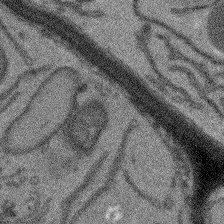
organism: Arabidopsis thaliana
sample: Root tip